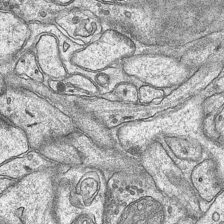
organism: Mouse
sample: CA1 Hippocampus